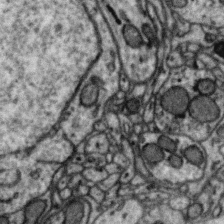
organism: Zebra finch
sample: Brain